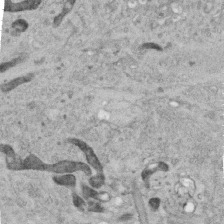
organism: Human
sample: Centriole in RPE cells